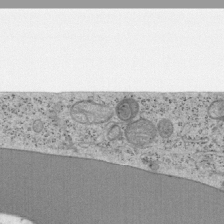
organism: Human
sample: HeLa cells